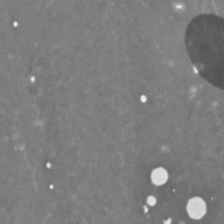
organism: C. elegans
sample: C. elegans embryo